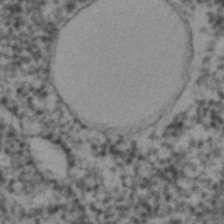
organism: C. elegans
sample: C. elegans embryo